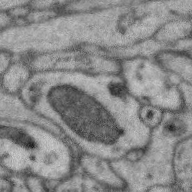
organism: Zebra finch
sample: Brain